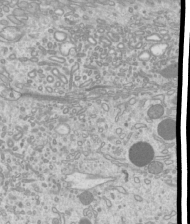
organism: Mouse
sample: Cilia; mouse epididymis